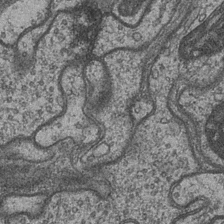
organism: Drosophila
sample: Optic medulla